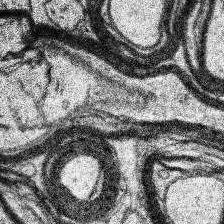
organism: Human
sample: Temporal Lobe